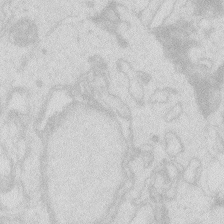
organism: Zebrafish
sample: Macrophage